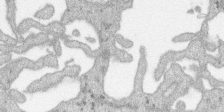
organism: Human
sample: Lung epithelial cells infected with SARS-CoV-2